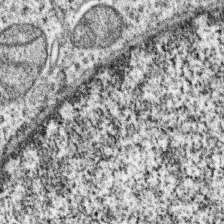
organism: Human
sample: HeLa cells